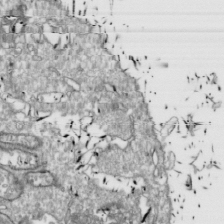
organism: Drosophila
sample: Cell division; meiosis; drosophila spermatocytes